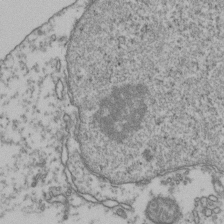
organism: Human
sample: Activated Jurkat CD4+ T cells